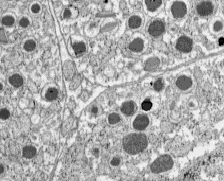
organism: C57BL Mouse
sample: Pancreatic islet